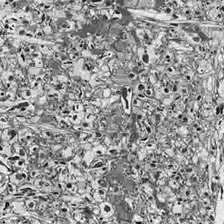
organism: Drosophila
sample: Optic lobe